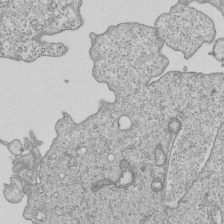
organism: Human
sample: MDA-MB-231 cells